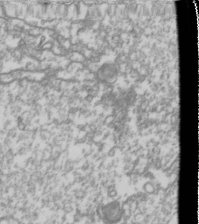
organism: Drosophila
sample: Cell division; meiosis; drosophila spermatocytes